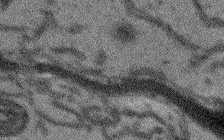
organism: Arabidopsis thaliana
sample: Root tip